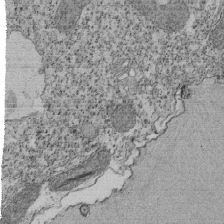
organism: Tetrahymena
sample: Cilia in tetrahymena